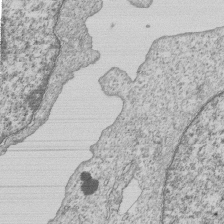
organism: Human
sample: MDA-MB-231 cells